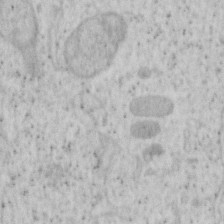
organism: Human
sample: HeLa cells